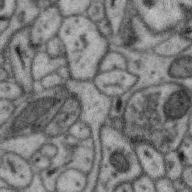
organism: Zebra finch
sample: Brain